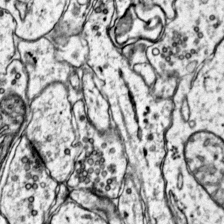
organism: Mouse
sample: Primary visual cortex